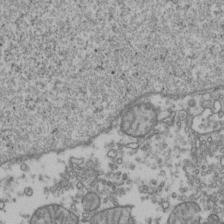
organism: Human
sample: Activated Jurkat CD4+ T cells